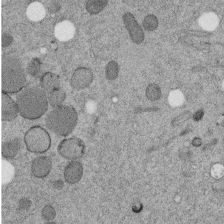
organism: C. elegans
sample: C. elegans embryo early stage